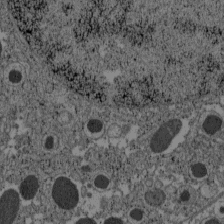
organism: C57BL Mouse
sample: Pancreatic islet